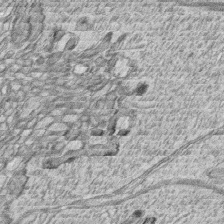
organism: Zebrafish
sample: synaptic ribbons in rod cells and cone cells